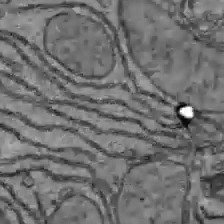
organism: C57BL Mouse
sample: Liver